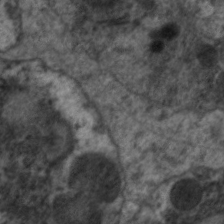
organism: C. elegans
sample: Pharynx